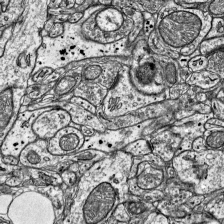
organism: Mouse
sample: Visual Cortex